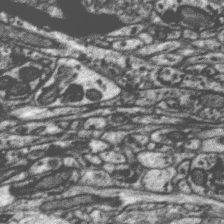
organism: Zebra finch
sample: Brain